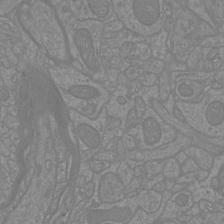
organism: Mouse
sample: Cortical neurons